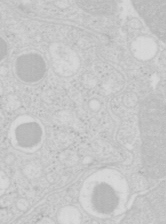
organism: Mouse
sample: Pancreas